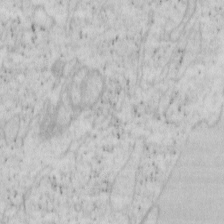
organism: Human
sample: HeLa cells